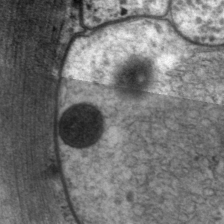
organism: P. pacificus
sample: Pharynx